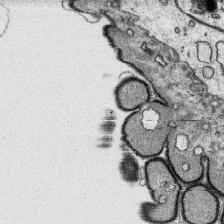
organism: Platynereis dumerilii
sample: Parapodia